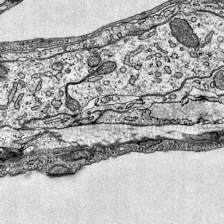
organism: Mouse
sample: Visual Cortex